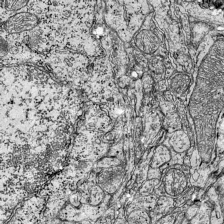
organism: Mouse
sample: Visual Cortex